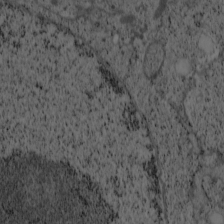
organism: African green monkey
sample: COS-7 cells